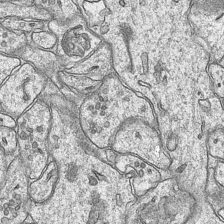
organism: Mouse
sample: CA1 Hippocampus